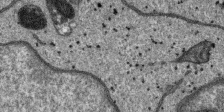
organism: Human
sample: Lung epithelial cells, uninfected (mock) control